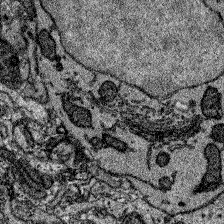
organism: Zebrafish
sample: Larval olfactory bulb